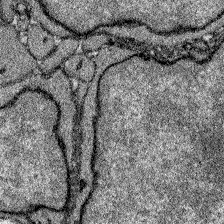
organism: Zebrafish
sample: Larval olfactory bulb